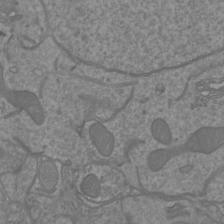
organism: Mouse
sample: Cortical neurons